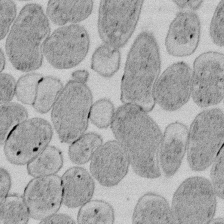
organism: E. coli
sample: Bacterial nucleoid